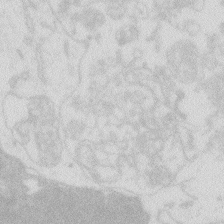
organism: Zebrafish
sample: Macrophage